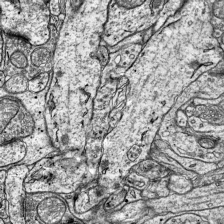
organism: Mouse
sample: Visual Cortex